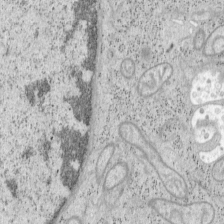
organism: Mouse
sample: OT-I killer T cells with ID8 ovarian cancer cells